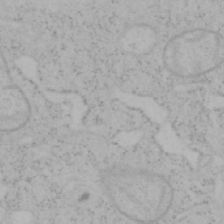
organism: Mouse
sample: OT-I killer T cells with ID8 ovarian cancer cells